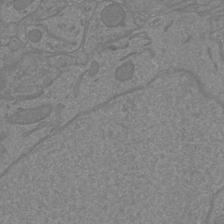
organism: Mouse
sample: Cortical neurons